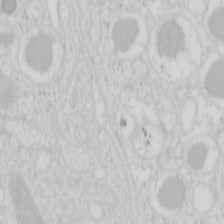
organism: Mouse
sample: Pancreas